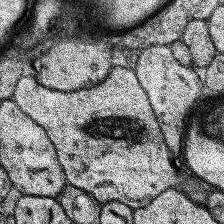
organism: Human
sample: Temporal Lobe